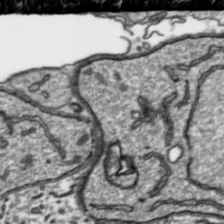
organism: Toxoplasma gondii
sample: Parasites in a vacuole inside a host cell